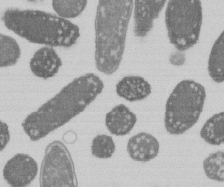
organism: E. coli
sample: Bacterial nucleoid